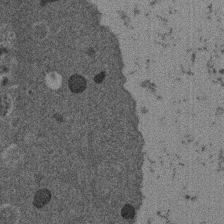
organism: Mouse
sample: Dividing mouse embryo 1 cell stage